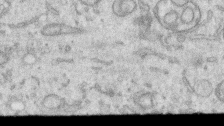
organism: Human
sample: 1205lu cells